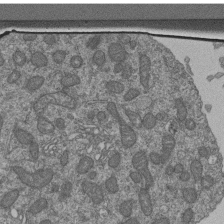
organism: Human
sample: Retinal organoid Rod and Cone cells